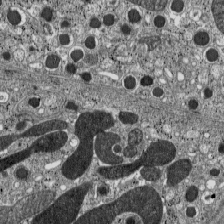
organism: C57BL Mouse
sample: Pancreatic islet